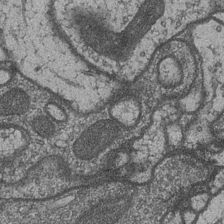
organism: Drosophila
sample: Optic medulla